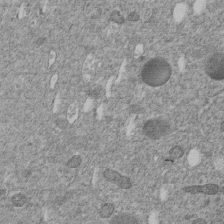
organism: C. elegans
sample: C. elegans embryo early stage